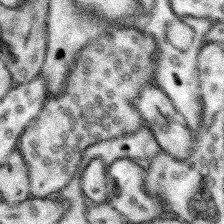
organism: Mouse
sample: Somatosensory cortex neuropil